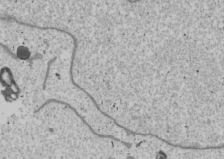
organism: Human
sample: Mitochondria in U2OS cells